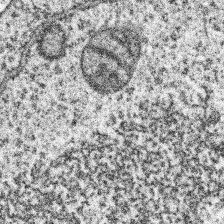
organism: Human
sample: HeLa cells